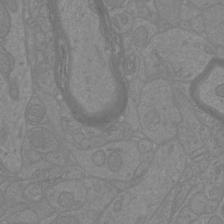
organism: Mouse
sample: Cortical neurons